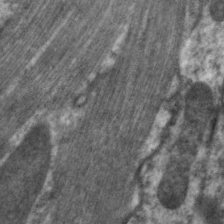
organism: C. elegans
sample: Pharynx